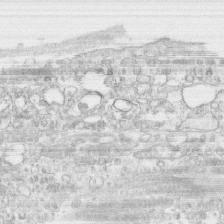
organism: Human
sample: CRL-1474